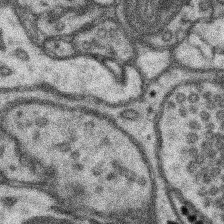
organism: Mouse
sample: Somatosensory cortex neuropil